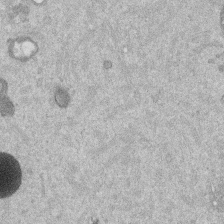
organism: Mouse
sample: Dividing mouse embryo 1 cell stage